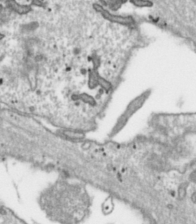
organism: Toxoplasma gondii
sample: Parasites in a vacuole inside a host cell